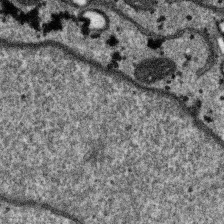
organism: Human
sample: Lung epithelial cells infected with SARS-CoV-2